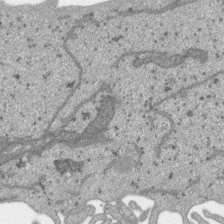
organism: Human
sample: Lung epithelial cells infected with SARS-CoV-2